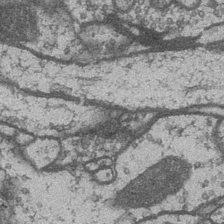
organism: Drosophila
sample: Optic medulla